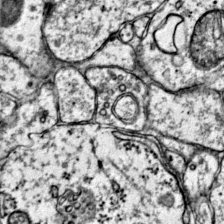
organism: Mouse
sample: Primary visual cortex